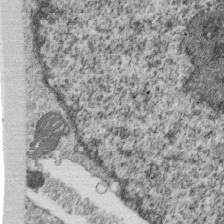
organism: African green monkey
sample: Vero E6 cells infected with SARS-CoV-2